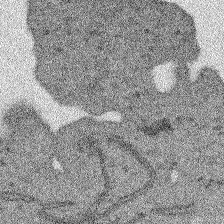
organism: Human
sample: HeLa cells